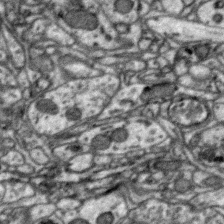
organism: Zebra finch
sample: Brain